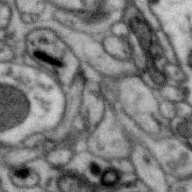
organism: Zebra finch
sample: Brain